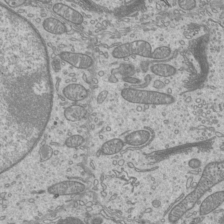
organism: Mouse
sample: Cilia; mouse epididymis